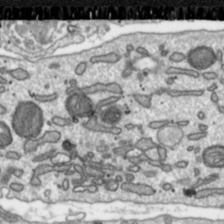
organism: Toxoplasma gondii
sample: Parasites in a vacuole inside a host cell